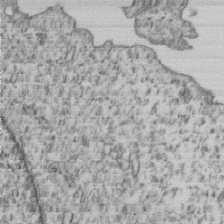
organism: Human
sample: MDA-MB-231 cells